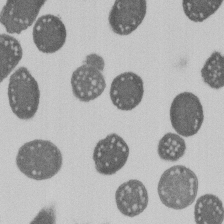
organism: E. coli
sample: Bacterial nucleoid